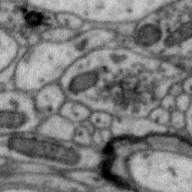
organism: Zebra finch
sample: Brain